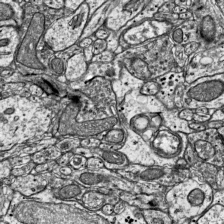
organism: Mouse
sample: Visual Cortex